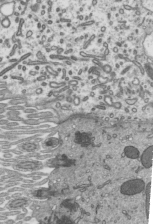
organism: Mouse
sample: Mouse epididymis efferent ductule cilia